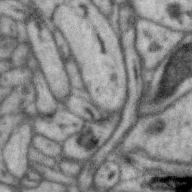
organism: Zebra finch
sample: Brain